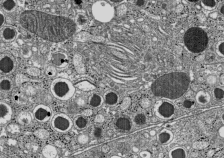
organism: C57BL Mouse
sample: Pancreatic islet